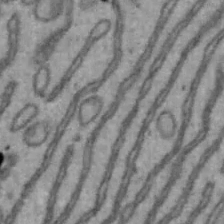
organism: Mouse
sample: Liver